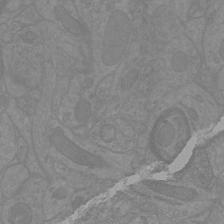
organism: Mouse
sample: Cortical neurons